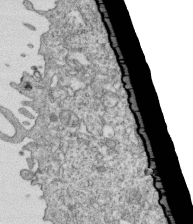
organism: Human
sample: HeLa cell HIV synapse